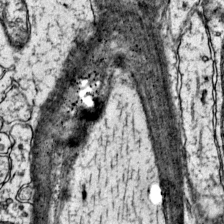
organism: Mouse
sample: Primary visual cortex